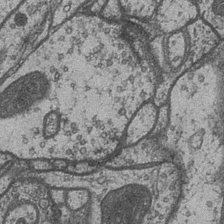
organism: Drosophila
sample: Optic medulla